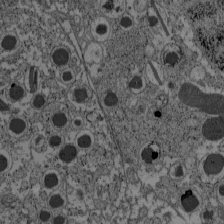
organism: C57BL Mouse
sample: Pancreatic islet